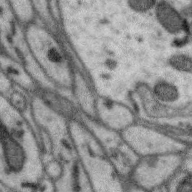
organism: Zebra finch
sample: Brain